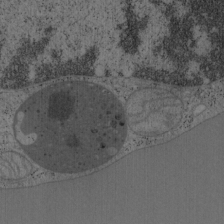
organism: Mouse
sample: OT-I killer T cells with ID8 ovarian cancer cells